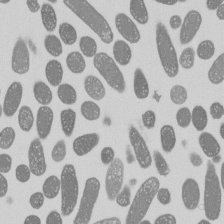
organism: E. coli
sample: Bacterial nucleoid